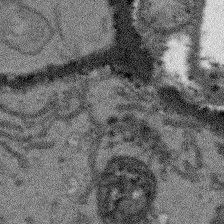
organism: Arabidopsis thaliana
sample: Root tip